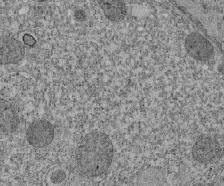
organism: Tetrahymena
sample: Cilia in tetrahymena